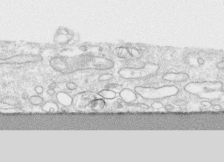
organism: Human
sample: CRL-1474